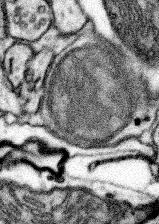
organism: Mouse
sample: Somatosensory cortex neuropil